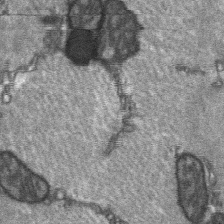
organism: C57BL Mouse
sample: Soleus